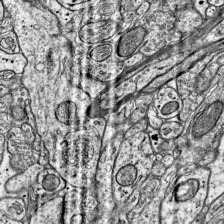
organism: Mouse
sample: Visual Cortex